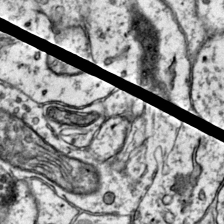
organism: Mouse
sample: Primary visual cortex